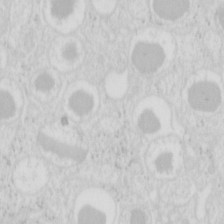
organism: Mouse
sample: Pancreas